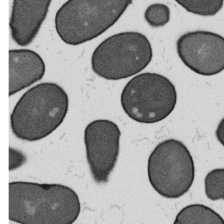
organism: B. subtilis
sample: Bacterial spore